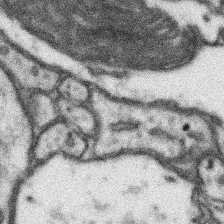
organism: Mouse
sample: Somatosensory cortex neuropil